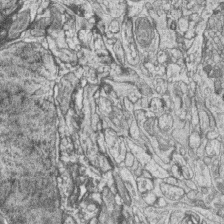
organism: Zebrafish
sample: synaptic ribbons in rod cells and cone cells